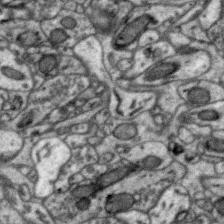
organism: Zebra finch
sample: Brain